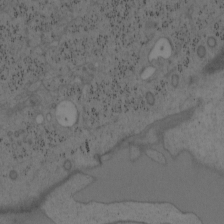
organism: Mouse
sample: OT-I killer T cells with ID8 ovarian cancer cells